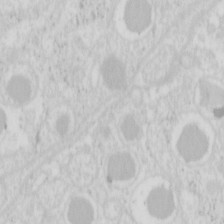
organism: Mouse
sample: Pancreas